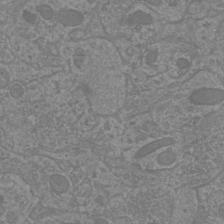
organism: Mouse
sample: Cortical neurons